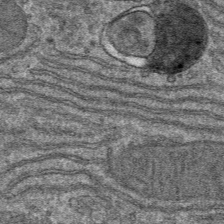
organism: Mouse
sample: Mouse hepatocytes